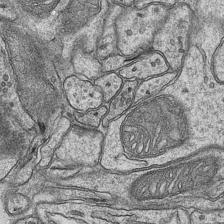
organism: Mouse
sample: CA1 Hippocampus